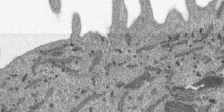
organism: Human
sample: Lung epithelial cells infected with SARS-CoV-2